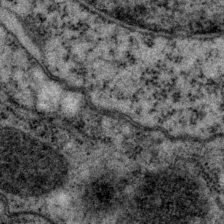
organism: P. pacificus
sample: Pharynx